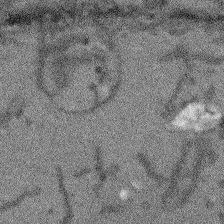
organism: Arabidopsis thaliana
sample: Root tip